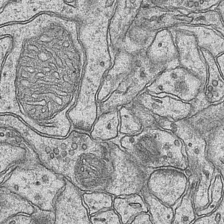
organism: Mouse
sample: CA1 Hippocampus